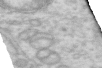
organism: Human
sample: Centriole in RPE cells